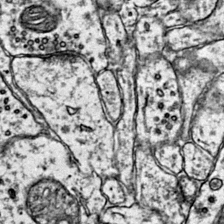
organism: Mouse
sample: Primary visual cortex